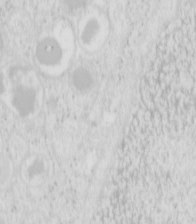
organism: Mouse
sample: Pancreas